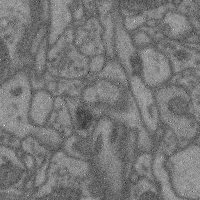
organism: Mouse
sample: Cerebral cortex